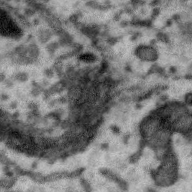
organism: Zebra finch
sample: Brain